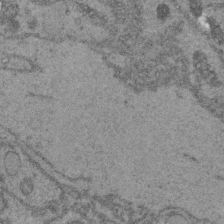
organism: C. elegans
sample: C. elegans embryo early stage